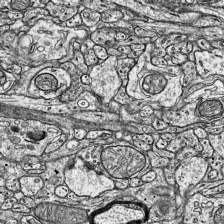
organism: Mouse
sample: Visual Cortex